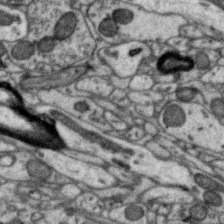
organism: Zebra finch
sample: Brain